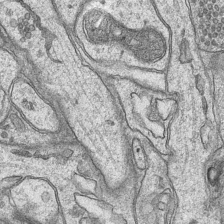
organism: Mouse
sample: CA1 Hippocampus